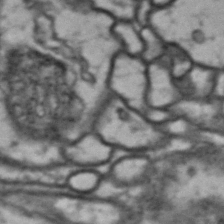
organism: Drosophila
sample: Brain